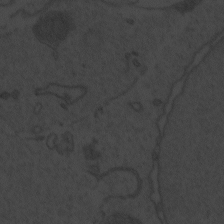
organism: Zebrafish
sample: Macrophage infected with Toxoplasma gondii